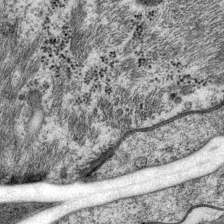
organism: P. pacificus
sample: Pharynx